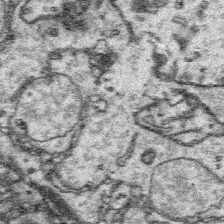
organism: Platynereis dumerilii